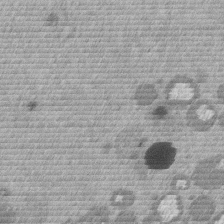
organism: Mouse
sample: Dividing mouse embryo 1 cell stage